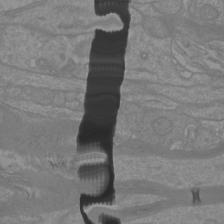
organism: Mouse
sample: Cortical neurons